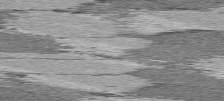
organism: C57BL Mouse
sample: Heart